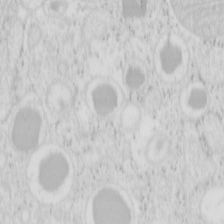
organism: Mouse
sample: Pancreas